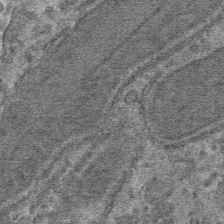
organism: Mouse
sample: Mouse hepatocytes